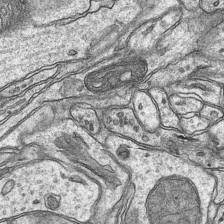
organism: Mouse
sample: CA1 Hippocampus